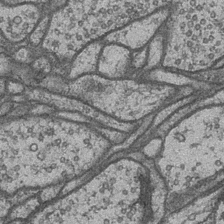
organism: Drosophila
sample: Optic medulla